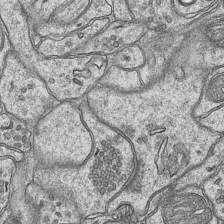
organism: Mouse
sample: CA1 Hippocampus